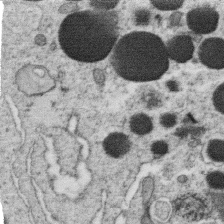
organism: C. elegans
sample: C. elegans oocyte; sperm cells